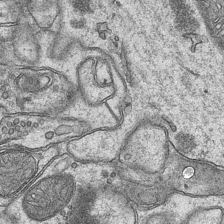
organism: Mouse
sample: CA1 Hippocampus